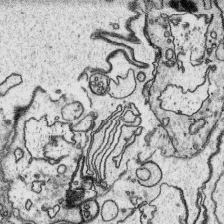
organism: Platynereis dumerilii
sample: Parapodia